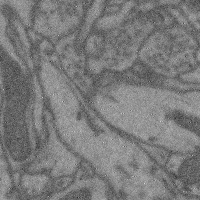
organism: Mouse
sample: Cerebral cortex